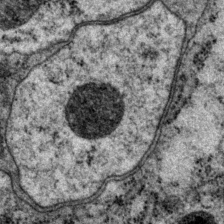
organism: P. pacificus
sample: Pharynx